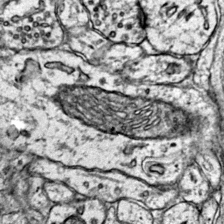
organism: Mouse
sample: Primary visual cortex